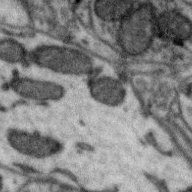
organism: Zebra finch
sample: Brain